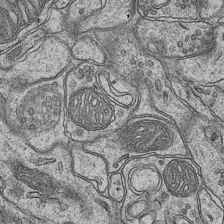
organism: Mouse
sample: CA1 Hippocampus